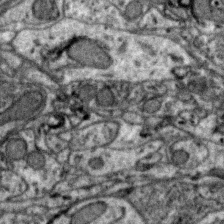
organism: Zebra finch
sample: Brain